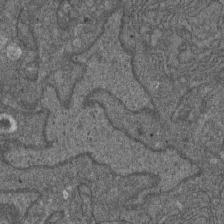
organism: Drosophila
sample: Nephrocyte